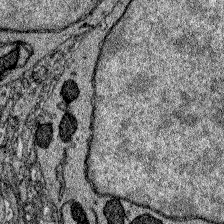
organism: Zebrafish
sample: Larval olfactory bulb